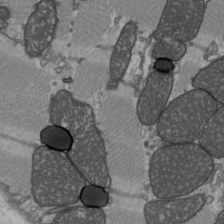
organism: C57BL Mouse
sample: Heart